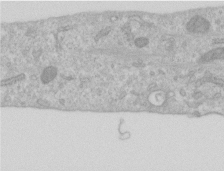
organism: Human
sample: Centriole in RPE cells